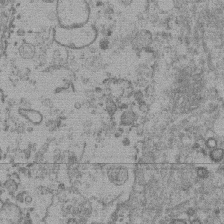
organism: Mouse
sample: Dividing mouse embryo 1 cell stage